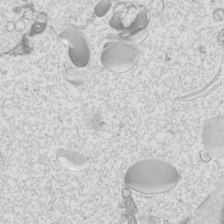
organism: Mouse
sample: Cilia; mouse epididymis